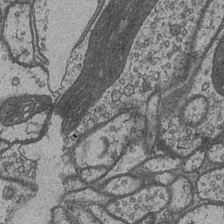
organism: Drosophila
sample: Optic medulla